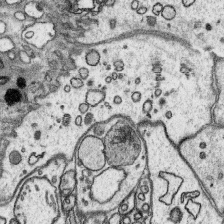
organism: Platynereis dumerilii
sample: Parapodia